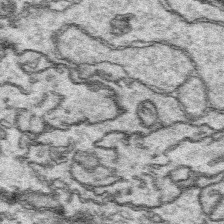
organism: Platynereis dumerilii